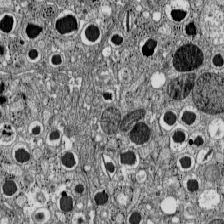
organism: C57BL Mouse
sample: Pancreatic islet